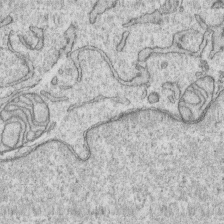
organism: Human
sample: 1205lu cells